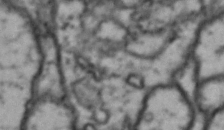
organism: Drosophila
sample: Brain